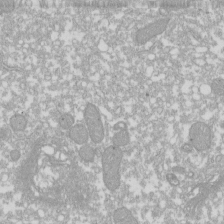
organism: Xenopus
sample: Cilia; centrioles in frog embryo cells